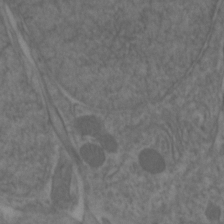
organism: Zebrafish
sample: Zebrafish embryo